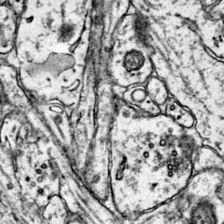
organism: Mouse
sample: Primary visual cortex